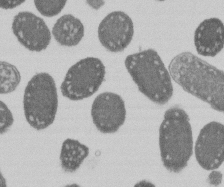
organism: E. coli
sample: Bacterial nucleoid